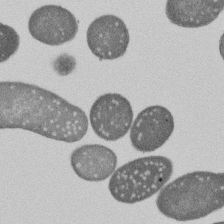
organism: E. coli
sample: Bacterial nucleoid